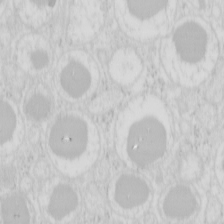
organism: Mouse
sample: Pancreas